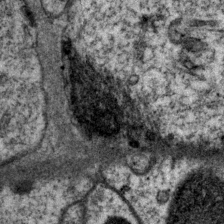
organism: P. pacificus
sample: Pharynx